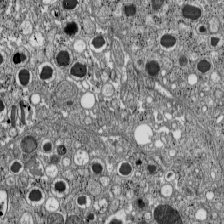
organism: C57BL Mouse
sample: Pancreatic islet